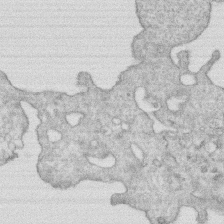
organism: Human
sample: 1205lu cells